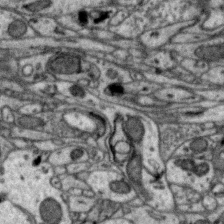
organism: Zebra finch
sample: Brain